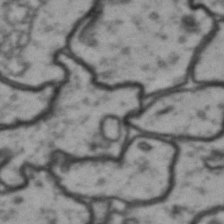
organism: Drosophila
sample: Brain